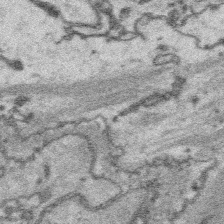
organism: Platynereis dumerilii